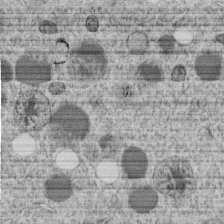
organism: C. elegans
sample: C. elegans embryo early stage